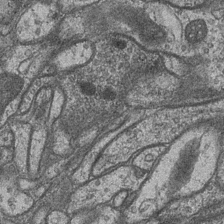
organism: Drosophila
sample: Optic medulla